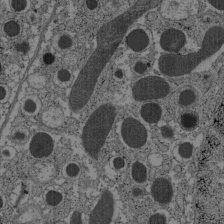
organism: C57BL Mouse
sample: Pancreatic islet